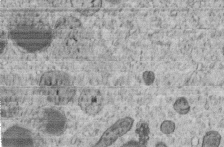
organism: C. elegans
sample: C. elegans embryo early stage